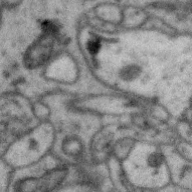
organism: Zebra finch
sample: Brain